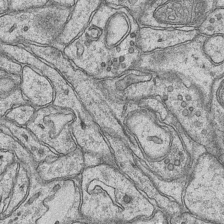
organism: Mouse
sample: CA1 Hippocampus